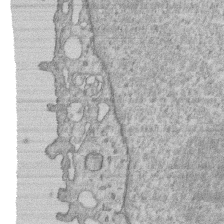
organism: Human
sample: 1205lu cells